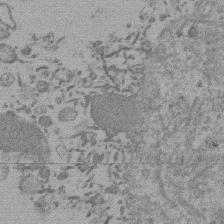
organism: Mouse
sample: Dividing mouse embryo 1 cell stage